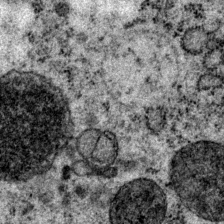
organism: P. pacificus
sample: Pharynx